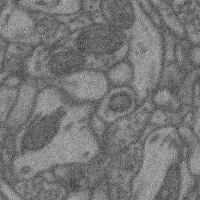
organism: Mouse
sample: Cerebral cortex